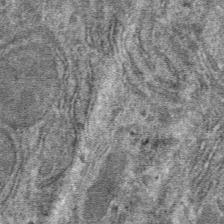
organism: Mouse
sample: Mouse hepatocytes